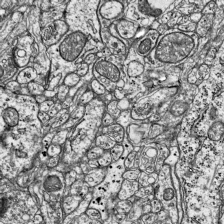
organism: Mouse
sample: Visual Cortex